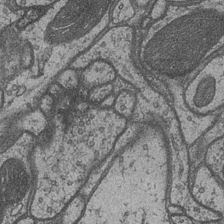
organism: Drosophila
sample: Optic medulla